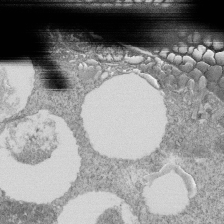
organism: Tetrahymena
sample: Cilia in tetrahymena